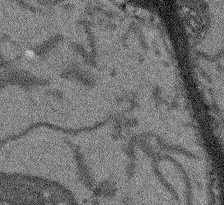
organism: Arabidopsis thaliana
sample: Root tip